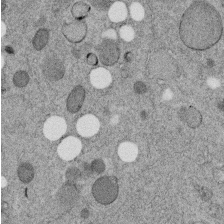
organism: C. elegans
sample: C. elegans embryo early stage